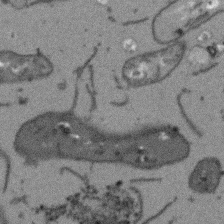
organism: Arabidopsis thaliana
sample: Root tip